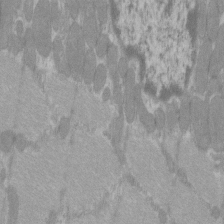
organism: C57BL Mouse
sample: Tibialis anterior muscle cell